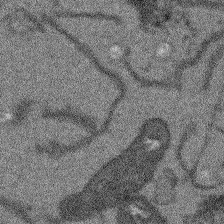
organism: Arabidopsis thaliana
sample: Root tip